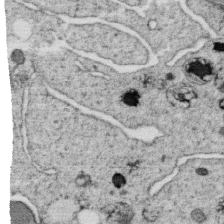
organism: C. elegans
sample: C. elegans oocyte; sperm cells